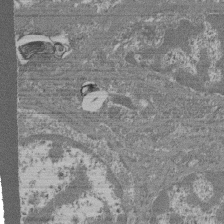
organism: Mouse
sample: Glomerulus